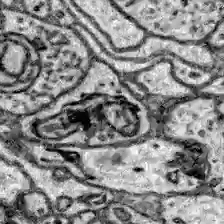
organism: Zebrafish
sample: Brain